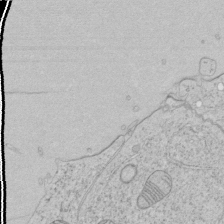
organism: Human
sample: Mitochondria in HCT116 cells